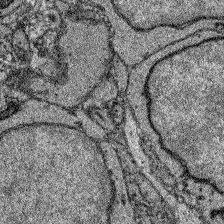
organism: Zebrafish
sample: Larval olfactory bulb